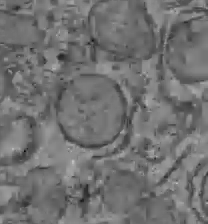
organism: C57BL Mouse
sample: Liver